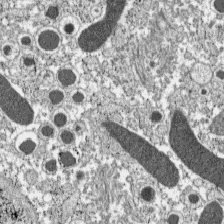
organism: C57BL Mouse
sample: Pancreatic islet